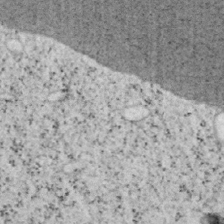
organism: Mouse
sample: OT-I killer T cells with ID8 ovarian cancer cells